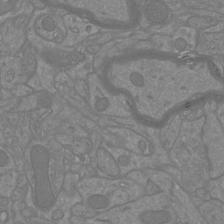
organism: Mouse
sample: Cortical neurons